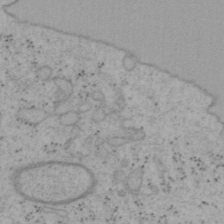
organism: Human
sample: HeLa cells